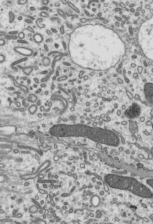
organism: Mouse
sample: Mouse epididymis efferent ductule cilia